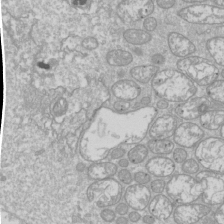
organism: Drosophila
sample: Cell division; meiosis; drosophila spermatocytes